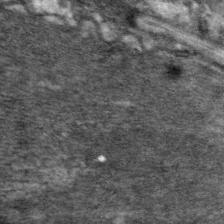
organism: C. elegans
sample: Pharynx